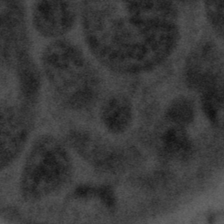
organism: Tuwongella immobilis